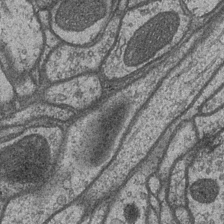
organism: Drosophila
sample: Optic medulla